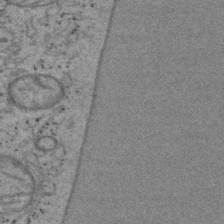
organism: Human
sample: HeLa cells